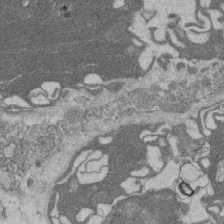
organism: Rat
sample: Salivary granule